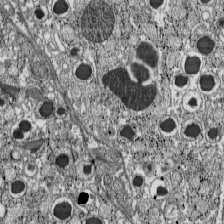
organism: C57BL Mouse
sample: Pancreatic islet